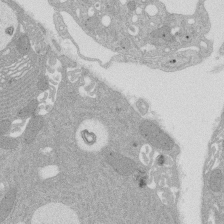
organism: Rat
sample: Salivary granule